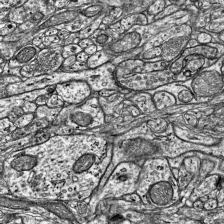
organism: Mouse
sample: Visual Cortex